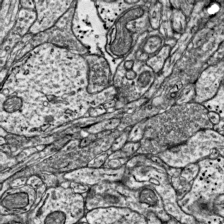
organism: Mouse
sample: Visual Cortex